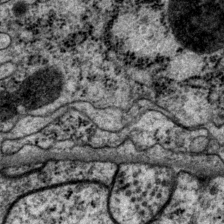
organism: P. pacificus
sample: Pharynx